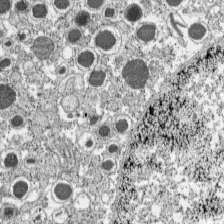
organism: C57BL Mouse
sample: Pancreatic islet